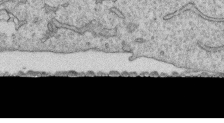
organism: Human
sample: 1205lu cells